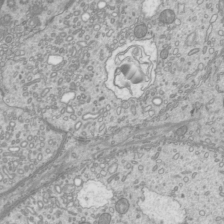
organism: Mouse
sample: Cilia; mouse epididymis